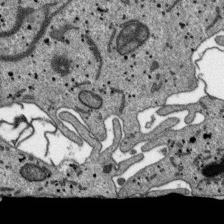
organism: Human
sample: Lung epithelial cells, uninfected (mock) control